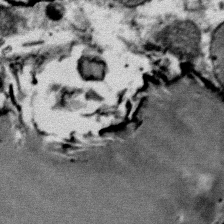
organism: Mouse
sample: Mouse Salivary gland